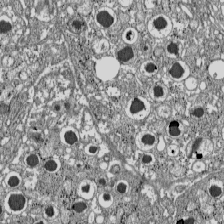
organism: C57BL Mouse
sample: Pancreatic islet